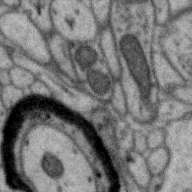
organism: Zebra finch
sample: Brain